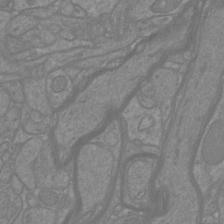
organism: Mouse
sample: Cortical neurons